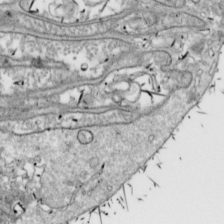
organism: Drosophila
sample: Cell division; meiosis; drosophila spermatocytes